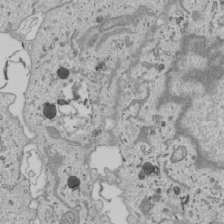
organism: Human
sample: Mitochondria in U2OS cells